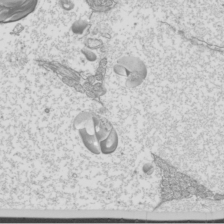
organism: Mouse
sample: Cilia; mouse epididymis